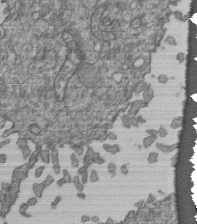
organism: Human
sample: Retinal organoid Rod and Cone cells